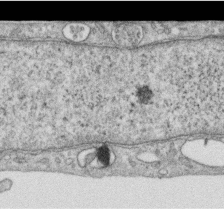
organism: Human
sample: Centriole in RPE cells